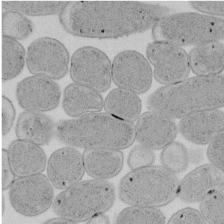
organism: E. coli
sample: Bacterial nucleoid